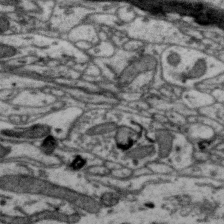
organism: Zebra finch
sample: Brain